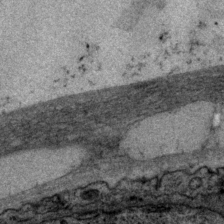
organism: P. pacificus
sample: Pharynx